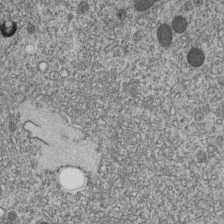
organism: C. elegans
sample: C. elegans embryo early stage